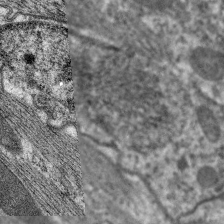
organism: C. elegans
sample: Pharynx